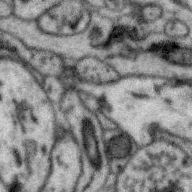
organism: Zebra finch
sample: Brain